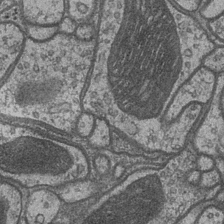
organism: Drosophila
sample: Optic medulla